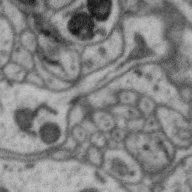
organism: Zebra finch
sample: Brain